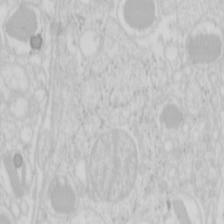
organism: Mouse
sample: Pancreas